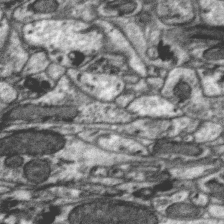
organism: Zebra finch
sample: Brain